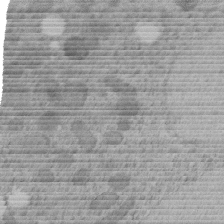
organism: C. elegans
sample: C. elegans embryo early stage